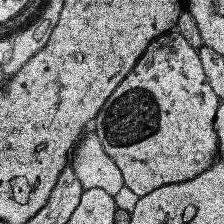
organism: Human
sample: Temporal Lobe